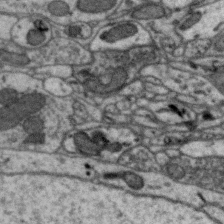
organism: Zebra finch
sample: Brain